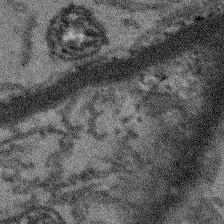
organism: Arabidopsis thaliana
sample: Root tip